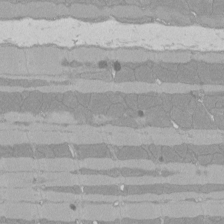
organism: Rat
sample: Left ventricle